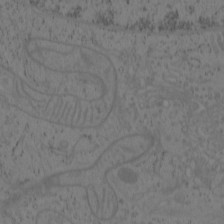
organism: Human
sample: HeLa cells